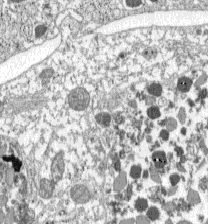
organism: C57BL Mouse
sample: Pancreatic islet